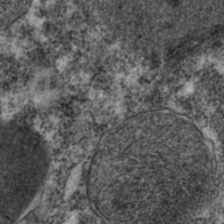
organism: C. elegans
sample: C. elegans embryo